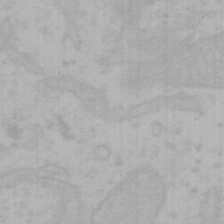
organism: Mouse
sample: Choroid plexus